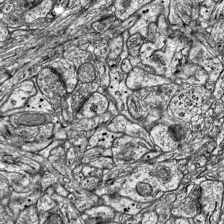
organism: Mouse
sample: Visual Cortex